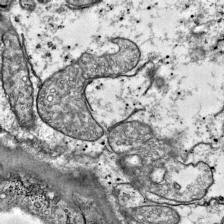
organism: Mouse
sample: Visual Cortex